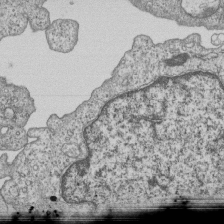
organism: Human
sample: MDA-MB-231 cells